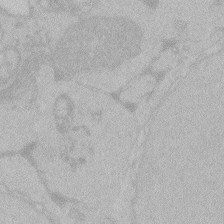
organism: Zebrafish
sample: Macrophage infected with Toxoplasma gondii